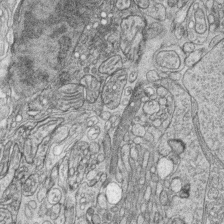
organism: Zebrafish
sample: synaptic ribbons in rod cells and cone cells